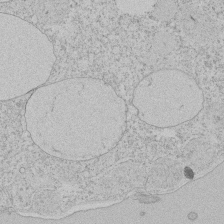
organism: Tetrahymena